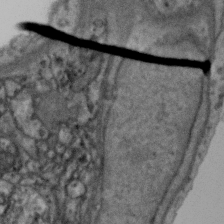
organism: Zebra finch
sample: Brain